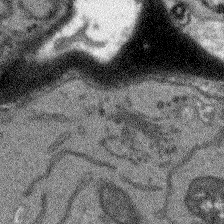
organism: Arabidopsis thaliana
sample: Root tip